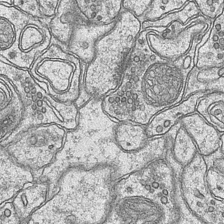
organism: Mouse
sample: CA1 Hippocampus